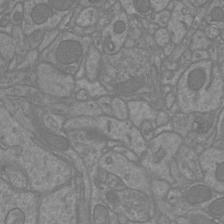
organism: Mouse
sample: Cortical neurons